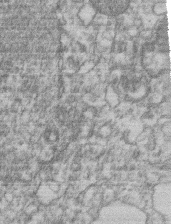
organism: Mouse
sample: T cell stromal cell synapse